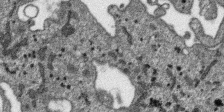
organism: Human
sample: Lung epithelial cells infected with SARS-CoV-2